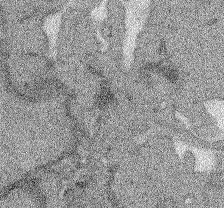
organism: Human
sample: HeLa cells